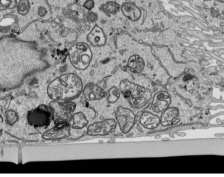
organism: Human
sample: Mitochondria in HCT116 cells